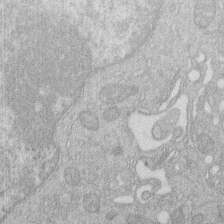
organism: Human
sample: Macrophage cells